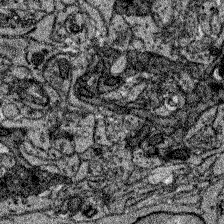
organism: Zebrafish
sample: Larval olfactory bulb